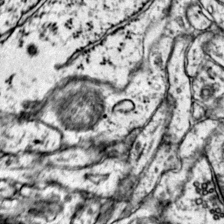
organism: Mouse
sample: Primary visual cortex